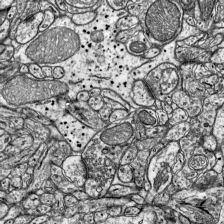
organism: Mouse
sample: Visual Cortex